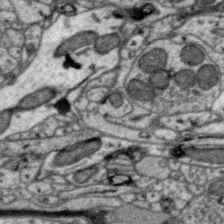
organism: Zebra finch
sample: Brain